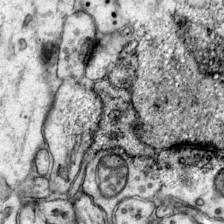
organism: Mouse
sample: Primary visual cortex